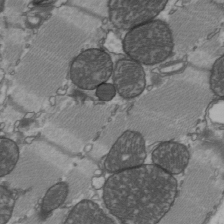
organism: C57BL Mouse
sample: Heart